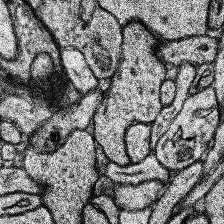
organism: Human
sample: Temporal Lobe